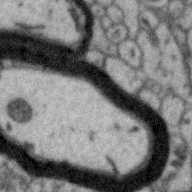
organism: Zebra finch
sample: Brain